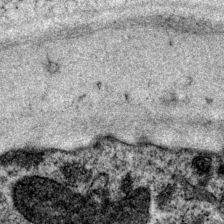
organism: P. pacificus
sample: Pharynx